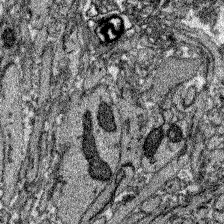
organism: Zebrafish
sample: Larval olfactory bulb